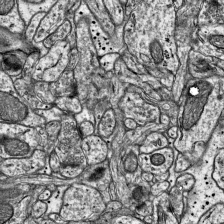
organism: Mouse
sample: Visual Cortex